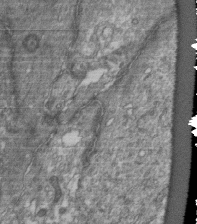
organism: Human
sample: Retinal organoid Rod and Cone cells